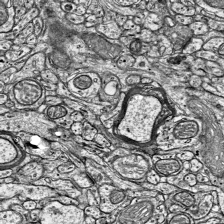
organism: Mouse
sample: Visual Cortex